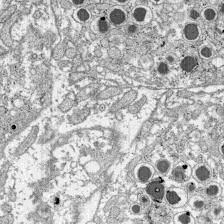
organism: C57BL Mouse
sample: Pancreatic islet